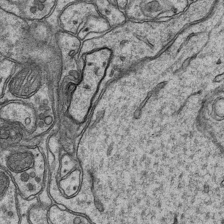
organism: Mouse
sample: CA1 Hippocampus